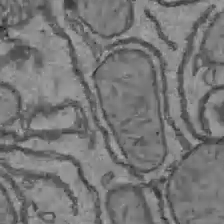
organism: C57BL Mouse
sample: Liver